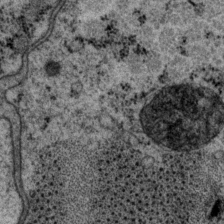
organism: P. pacificus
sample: Pharynx